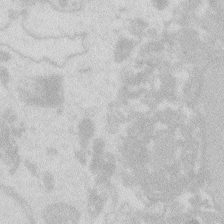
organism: Zebrafish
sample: Macrophage